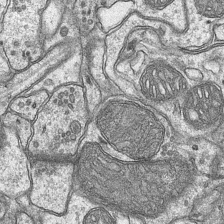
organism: Mouse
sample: CA1 Hippocampus